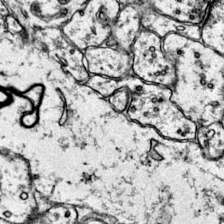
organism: Mouse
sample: Primary visual cortex